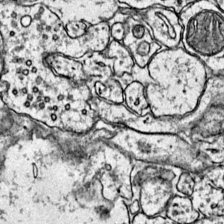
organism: Mouse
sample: Primary visual cortex